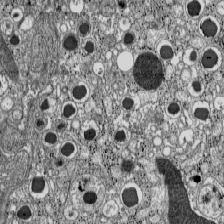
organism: C57BL Mouse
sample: Pancreatic islet